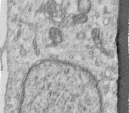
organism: Human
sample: Centriole in RPE cells